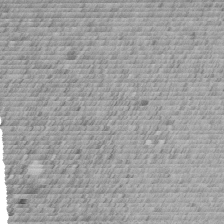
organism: C. elegans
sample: C. elegans embryo early stage